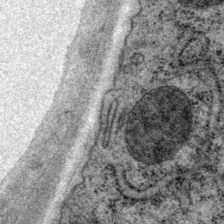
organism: P. pacificus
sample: Pharynx